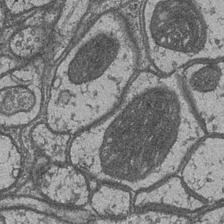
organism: Drosophila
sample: Optic medulla